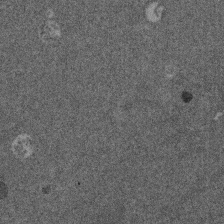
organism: Mouse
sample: Dividing mouse embryo 1 cell stage